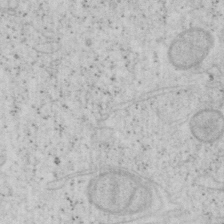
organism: Human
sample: HeLa cells